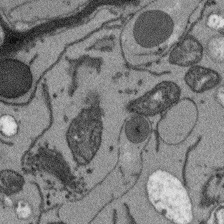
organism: Arabidopsis thaliana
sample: Root tip